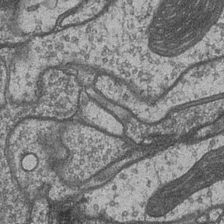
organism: Drosophila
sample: Optic medulla